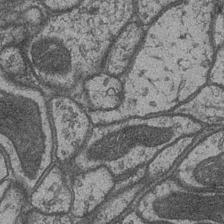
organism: Drosophila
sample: Optic medulla